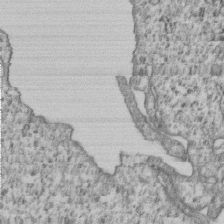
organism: Human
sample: MDA-MB-231 cells